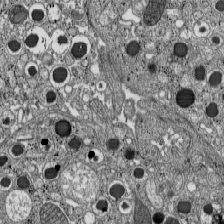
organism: C57BL Mouse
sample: Pancreatic islet